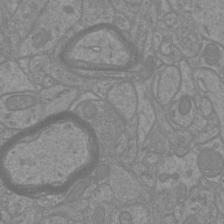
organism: Mouse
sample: Cortical neurons